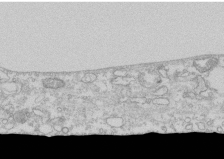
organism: Human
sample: CRL-1474